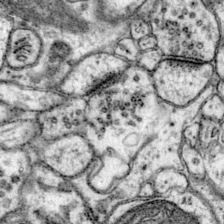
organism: Mouse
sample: Primary visual cortex